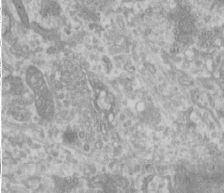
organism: Human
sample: Cilia; basal body in RPE cells